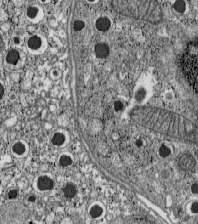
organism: C57BL Mouse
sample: Pancreatic islet